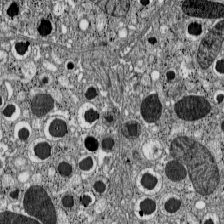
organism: C57BL Mouse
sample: Pancreatic islet